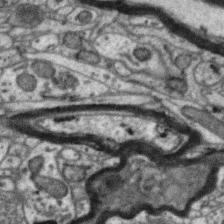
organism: Zebra finch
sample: Brain